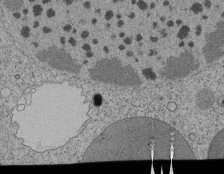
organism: Tetrahymena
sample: Cilia in tetrahymena